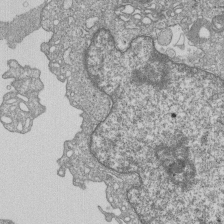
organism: Human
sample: MDA-MB-231 cells